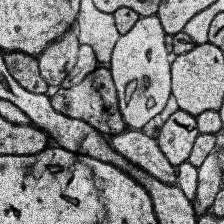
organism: Human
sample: Temporal Lobe